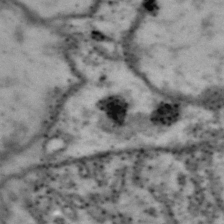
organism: Drosophila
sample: Brain